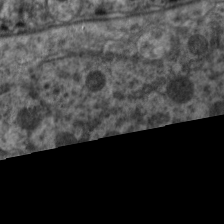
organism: C. elegans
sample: Pharynx